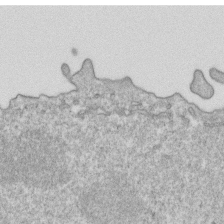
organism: Mouse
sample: Activated OT-1 CD8+ T cells